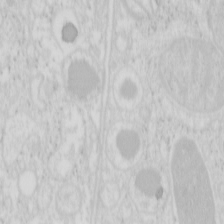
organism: Mouse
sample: Pancreas